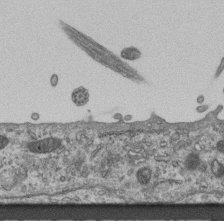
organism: Mouse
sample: Centriole in ependymal cells